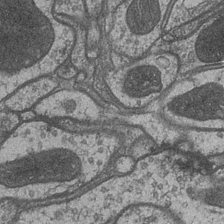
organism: Drosophila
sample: Optic medulla